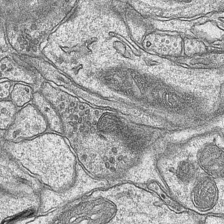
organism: Mouse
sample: CA1 Hippocampus